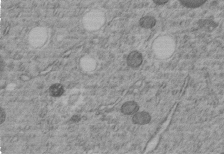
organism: C. elegans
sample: C. elegans embryo early stage